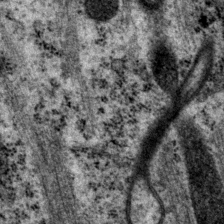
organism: P. pacificus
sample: Pharynx